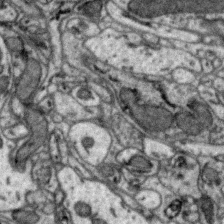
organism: Zebra finch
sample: Brain